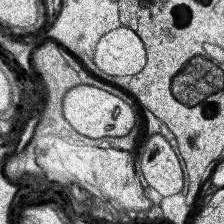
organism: Human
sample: Temporal Lobe